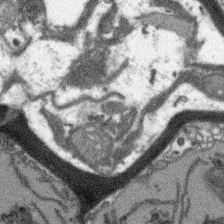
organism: Arabidopsis thaliana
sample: Root tip